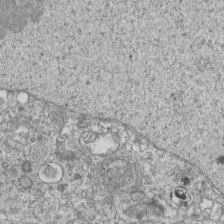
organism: Human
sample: HeLa cell HIV synapse